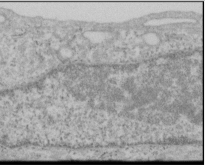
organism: Human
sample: Cilia; basal body in RPE cells